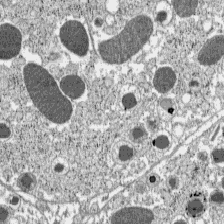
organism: C57BL Mouse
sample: Pancreatic islet